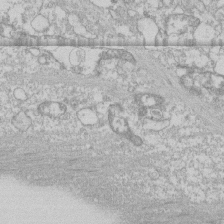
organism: Human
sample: CRL-1474